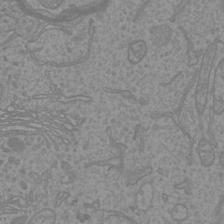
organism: Mouse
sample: Cortical neurons